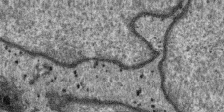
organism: Human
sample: Lung epithelial cells, uninfected (mock) control